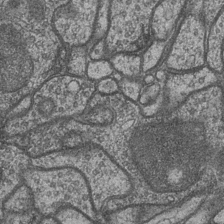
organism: Drosophila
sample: Optic medulla